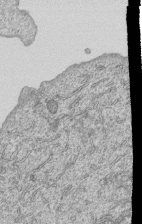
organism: Human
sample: MDA-MB-231 cells